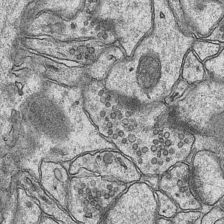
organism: Mouse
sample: CA1 Hippocampus